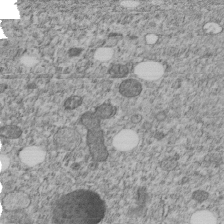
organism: C. elegans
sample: C. elegans embryo early stage